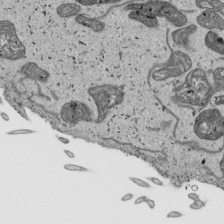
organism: Human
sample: Mitochondria in HCT116 cells